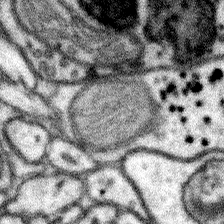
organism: Mouse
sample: Somatosensory cortex neuropil